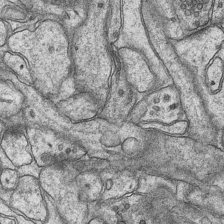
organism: Mouse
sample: CA1 Hippocampus